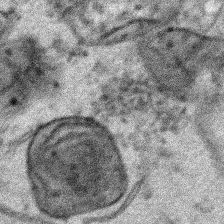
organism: Human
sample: Mitochondria in HCT116 cells